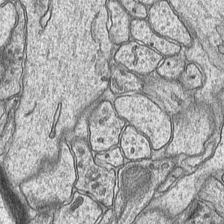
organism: Mouse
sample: CA1 Hippocampus